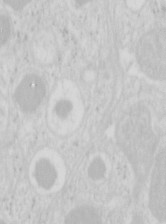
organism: Mouse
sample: Pancreas